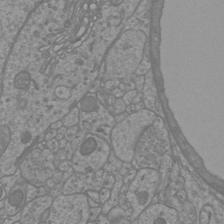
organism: Mouse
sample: Cortical neurons